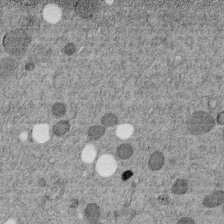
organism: C. elegans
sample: C. elegans embryo early stage